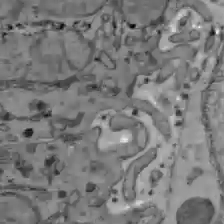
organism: C57BL Mouse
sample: Liver